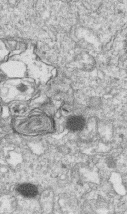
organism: Human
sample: HeLa cell HIV synapse